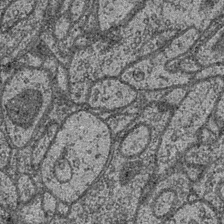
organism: Drosophila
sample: Optic medulla